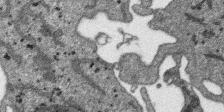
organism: Human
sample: Lung epithelial cells infected with SARS-CoV-2